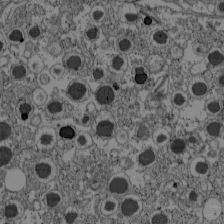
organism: C57BL Mouse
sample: Pancreatic islet